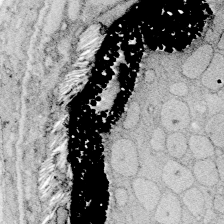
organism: Zebrafish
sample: Whole-Brain